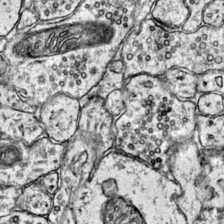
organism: Mouse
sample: Primary visual cortex